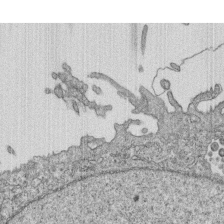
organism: Human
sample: HeLa cell HIV synapse